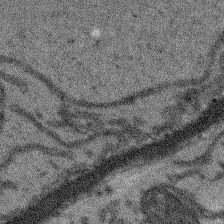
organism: Arabidopsis thaliana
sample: Root tip